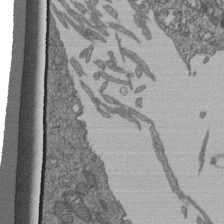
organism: Human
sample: Retinal organoid Rod and Cone cells